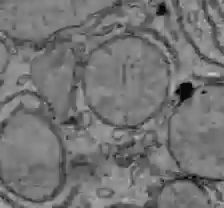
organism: C57BL Mouse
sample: Liver